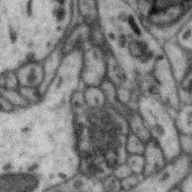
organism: Zebra finch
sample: Brain